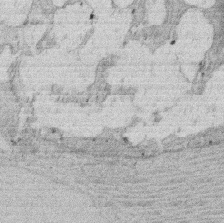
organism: Rat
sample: Salivary granule